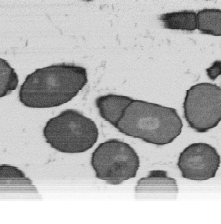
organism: B. subtilis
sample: Bacterial spore